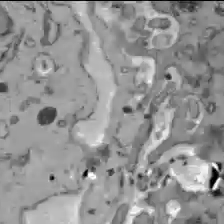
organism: C57BL Mouse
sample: Liver